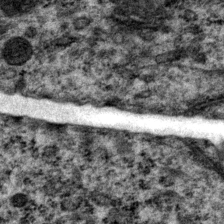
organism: P. pacificus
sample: Pharynx